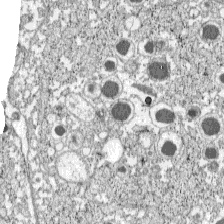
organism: C57BL Mouse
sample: Pancreatic islet